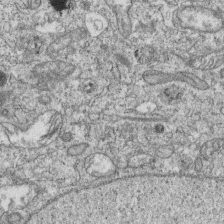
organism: Human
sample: HeLa cell HIV synapse